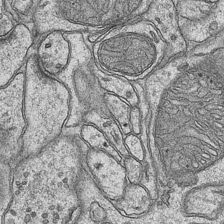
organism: Mouse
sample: CA1 Hippocampus